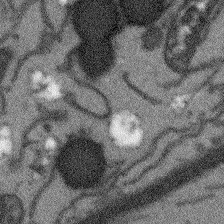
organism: Arabidopsis thaliana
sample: Root tip